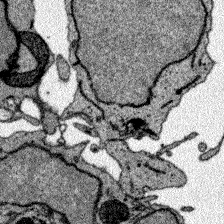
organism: Zebrafish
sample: Larval olfactory bulb